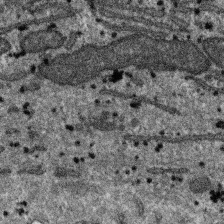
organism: Human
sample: Lung epithelial cells infected with SARS-CoV-2